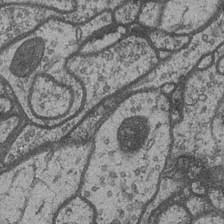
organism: Drosophila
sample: Optic medulla